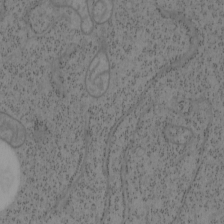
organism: Mouse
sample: OT-I killer T cells with ID8 ovarian cancer cells